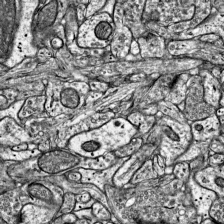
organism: Mouse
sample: Visual Cortex